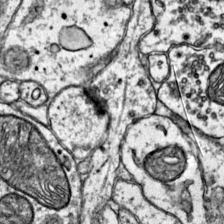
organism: Mouse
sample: Primary visual cortex